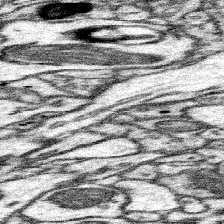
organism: Mouse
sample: Somatosensory cortex neuropil